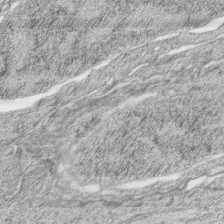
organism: Zebrafish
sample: synaptic ribbons in rod cells and cone cells